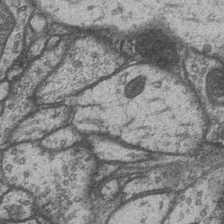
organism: Drosophila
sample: Optic medulla